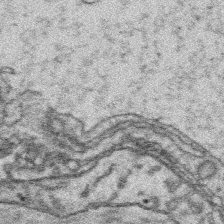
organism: Platynereis dumerilii